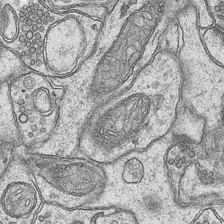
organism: Mouse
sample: CA1 Hippocampus